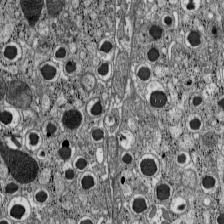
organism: C57BL Mouse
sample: Pancreatic islet